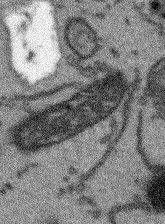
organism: Arabidopsis thaliana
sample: Root tip